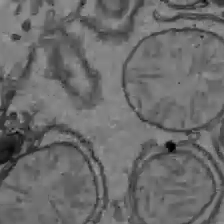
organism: C57BL Mouse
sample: Liver